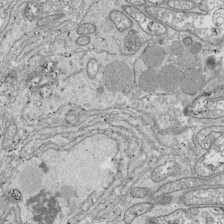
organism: Drosophila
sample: Cell division; meiosis; drosophila spermatocytes